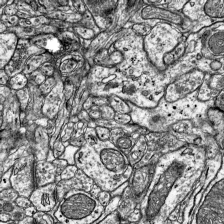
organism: Mouse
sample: Visual Cortex